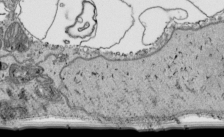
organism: Human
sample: Mitochondria in HCT116 cells